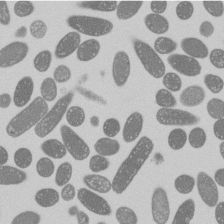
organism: E. coli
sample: Bacterial nucleoid